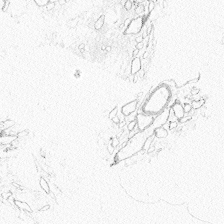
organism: Zebrafish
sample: Whole-Brain